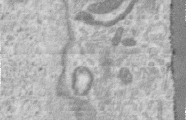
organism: Human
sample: Centriole in RPE cells